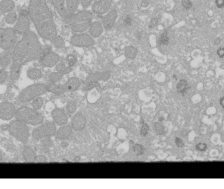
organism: Xenopus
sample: Cilia; centrioles in frog embryo cells